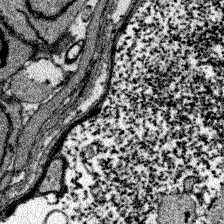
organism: Zebrafish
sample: Larval olfactory bulb